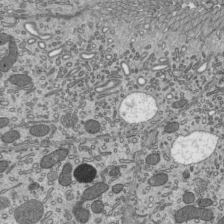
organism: Mouse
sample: Mouse epididymis efferent ductule cilia